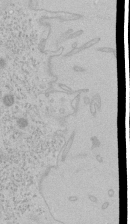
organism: Human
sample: Mitochondria in HCT116 cells